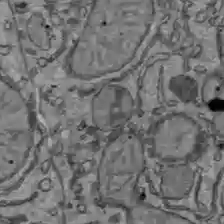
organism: C57BL Mouse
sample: Liver